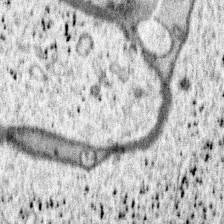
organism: Human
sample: HeLa cells